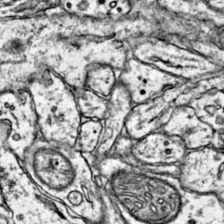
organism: Mouse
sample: Primary visual cortex